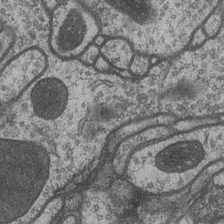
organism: Drosophila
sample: Optic medulla